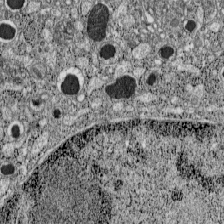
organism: C57BL Mouse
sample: Pancreatic islet